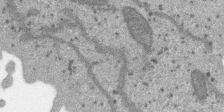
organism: Human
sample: Lung epithelial cells infected with SARS-CoV-2